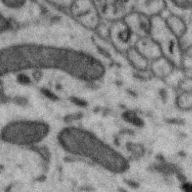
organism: Zebra finch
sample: Brain